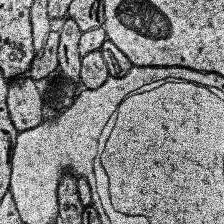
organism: Human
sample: Temporal Lobe